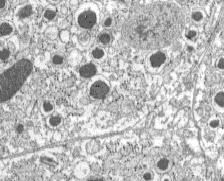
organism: C57BL Mouse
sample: Pancreatic islet